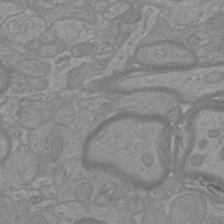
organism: Mouse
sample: Cortical neurons